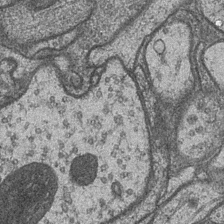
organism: Drosophila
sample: Optic medulla